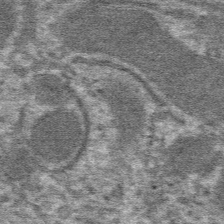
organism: Mouse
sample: Mouse hepatocytes